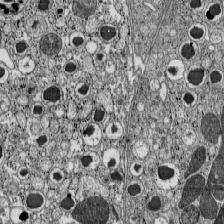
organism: C57BL Mouse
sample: Pancreatic islet